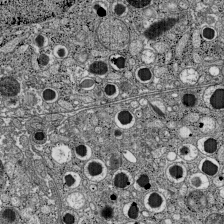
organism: C57BL Mouse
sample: Pancreatic islet